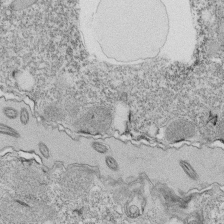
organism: Tetrahymena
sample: Cilia in tetrahymena